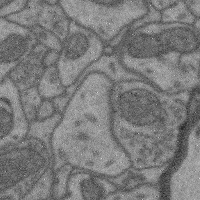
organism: Mouse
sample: Cerebral cortex